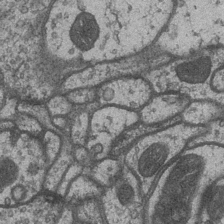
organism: Drosophila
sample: Optic medulla